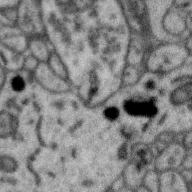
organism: Zebra finch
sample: Brain